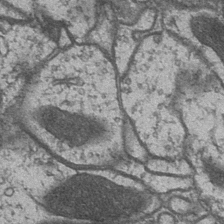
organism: Drosophila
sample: Optic medulla